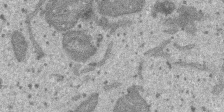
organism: Human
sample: Lung epithelial cells infected with SARS-CoV-2